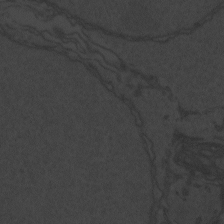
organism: Zebrafish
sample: Macrophage infected with Toxoplasma gondii